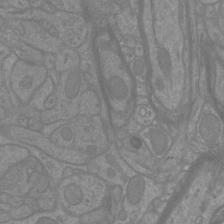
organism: Mouse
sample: Cortical neurons